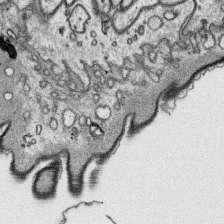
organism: Platynereis dumerilii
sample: Parapodia